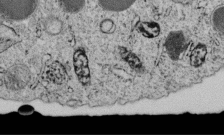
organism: C. elegans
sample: C. elegans embryo early stage